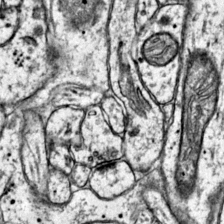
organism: Mouse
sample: Primary visual cortex